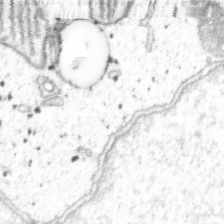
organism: Human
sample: HeLa cells